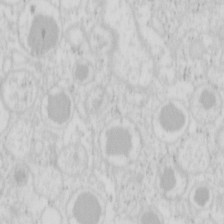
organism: Mouse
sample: Pancreas